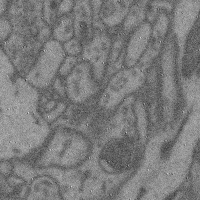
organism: Mouse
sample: Cerebral cortex